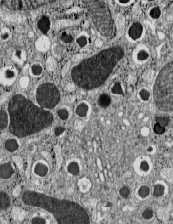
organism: C57BL Mouse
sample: Pancreatic islet